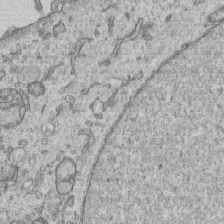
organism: Human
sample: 1205lu cells